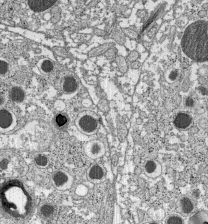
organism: C57BL Mouse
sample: Pancreatic islet